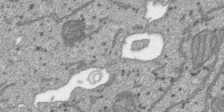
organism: Human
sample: Lung epithelial cells infected with SARS-CoV-2